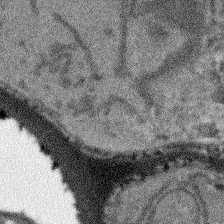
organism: Arabidopsis thaliana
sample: Root tip